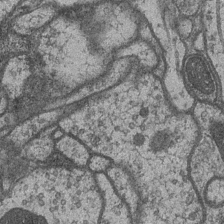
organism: Drosophila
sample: Optic medulla